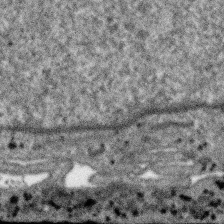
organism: Human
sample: Lung epithelial cells infected with SARS-CoV-2